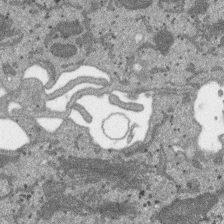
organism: Human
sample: Lung epithelial cells infected with SARS-CoV-2